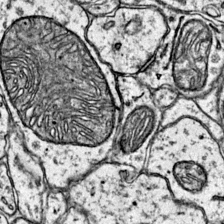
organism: Mouse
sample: Primary visual cortex